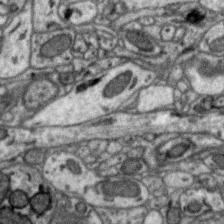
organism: Zebra finch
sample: Brain